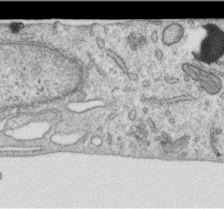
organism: Human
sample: Centriole in RPE cells